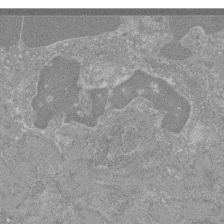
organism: Mouse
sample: Glomerulus